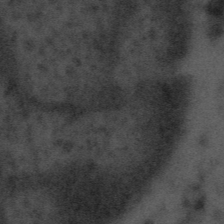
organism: Tuwongella immobilis